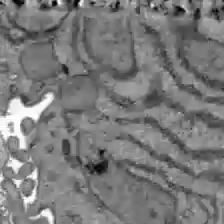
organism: C57BL Mouse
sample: Liver